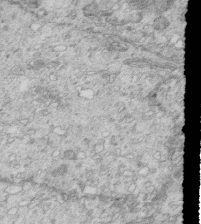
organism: Mouse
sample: Multiciliated cells